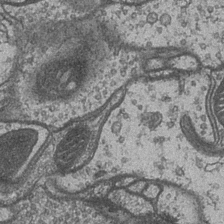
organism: Drosophila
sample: Optic medulla